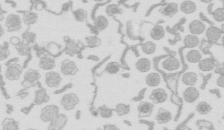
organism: Mouse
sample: Multiciliated cells